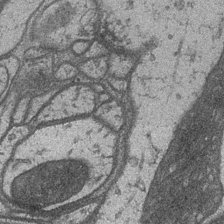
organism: Drosophila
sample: Optic medulla